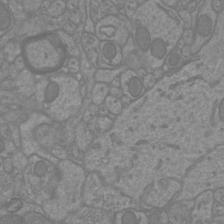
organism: Mouse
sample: Cortical neurons